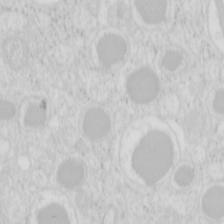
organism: Mouse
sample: Pancreas